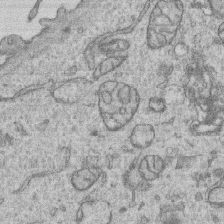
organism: Human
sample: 1205lu cells